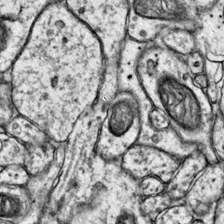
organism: Mouse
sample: Primary visual cortex